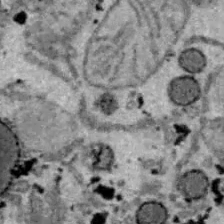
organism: Mouse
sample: Liver from an obese (ob/ob) mouse